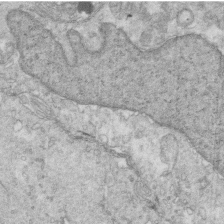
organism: Mouse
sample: Multiciliated cells